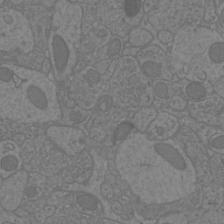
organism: Mouse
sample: Cortical neurons